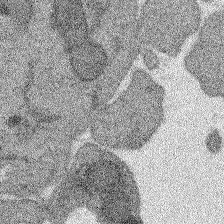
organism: Human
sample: HeLa cells